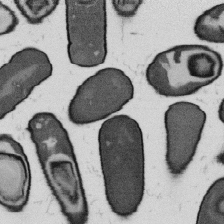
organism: B. subtilis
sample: Bacterial spore